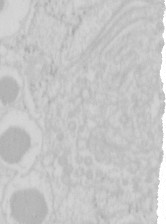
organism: Mouse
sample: Pancreas